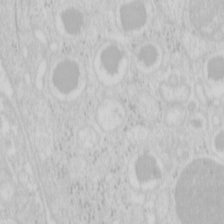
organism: Mouse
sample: Pancreas